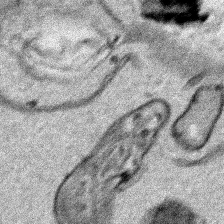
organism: Human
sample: Mitochondria in HCT116 cells